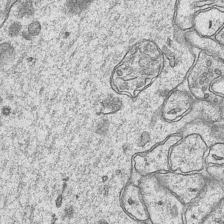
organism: Mouse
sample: CA1 Hippocampus